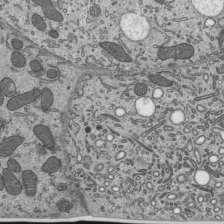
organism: Mouse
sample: Mouse epididymis efferent ductule cilia